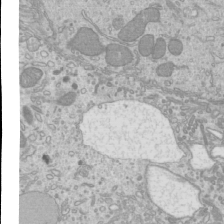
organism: Mouse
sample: Cilia; mouse epididymis